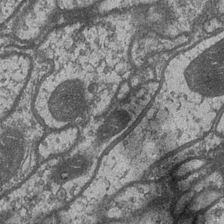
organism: Drosophila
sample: Optic medulla